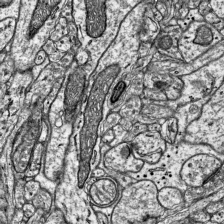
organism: Mouse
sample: Visual Cortex